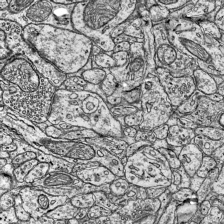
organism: Mouse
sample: Visual Cortex